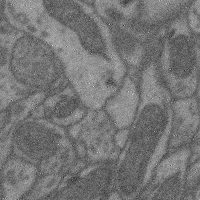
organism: Mouse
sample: Cerebral cortex